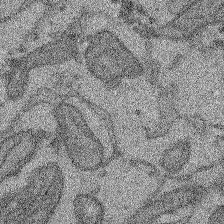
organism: Human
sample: HeLa cells